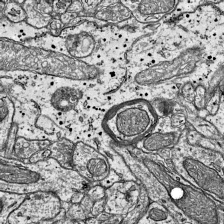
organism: Mouse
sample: Visual Cortex